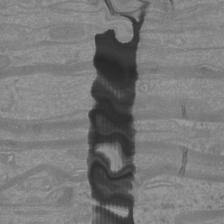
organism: Mouse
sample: Cortical neurons